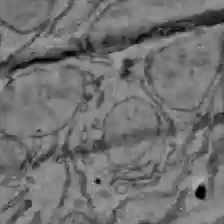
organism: C57BL Mouse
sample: Liver